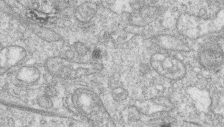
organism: Human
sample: HeLa cell HIV synapse